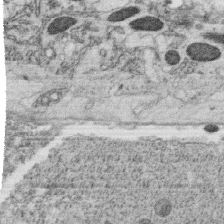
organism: C. elegans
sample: C. elegans oocyte; sperm cells